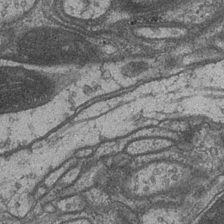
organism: Drosophila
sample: Optic medulla